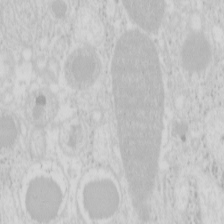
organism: Mouse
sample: Pancreas